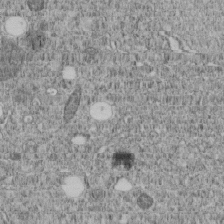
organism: C. elegans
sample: C. elegans embryo early stage